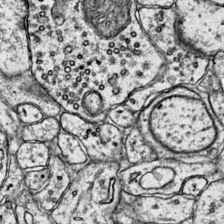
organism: Mouse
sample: Primary visual cortex